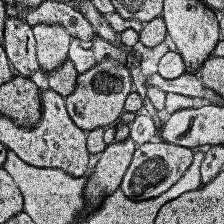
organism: Human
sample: Temporal Lobe